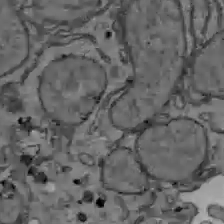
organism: C57BL Mouse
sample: Liver